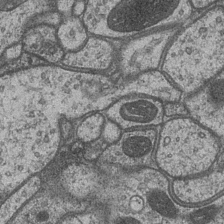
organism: Drosophila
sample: Optic medulla